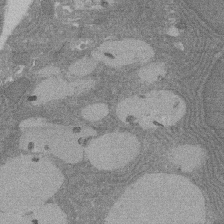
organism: Rat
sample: Salivary granule